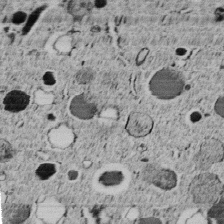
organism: C. elegans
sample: C. elegans embryo early stage